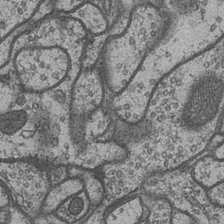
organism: Drosophila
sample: Optic medulla